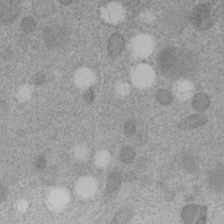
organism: C. elegans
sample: C. elegans embryo early stage